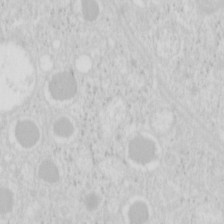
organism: Mouse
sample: Pancreas